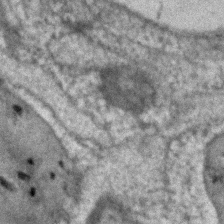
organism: Human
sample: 1205lu cells